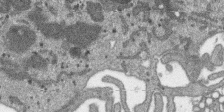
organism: Human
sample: Lung epithelial cells infected with SARS-CoV-2